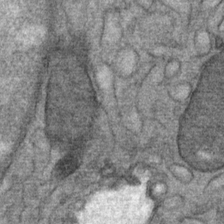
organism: Mouse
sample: Mouse Salivary gland